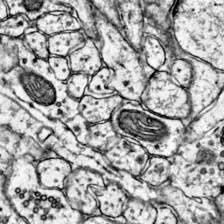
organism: Mouse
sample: Primary visual cortex